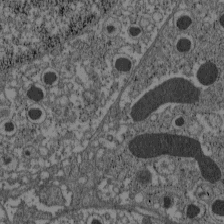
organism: C57BL Mouse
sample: Pancreatic islet